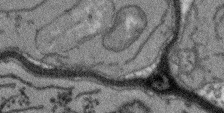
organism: Arabidopsis thaliana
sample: Root tip